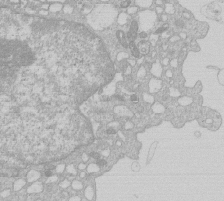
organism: Human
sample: Macrophage cells